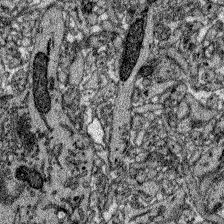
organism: Zebrafish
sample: Larval olfactory bulb